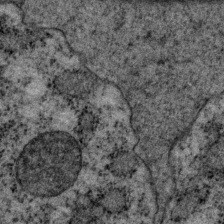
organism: P. pacificus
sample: Pharynx